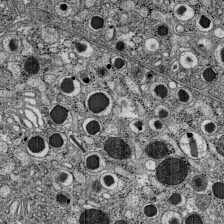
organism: C57BL Mouse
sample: Pancreatic islet